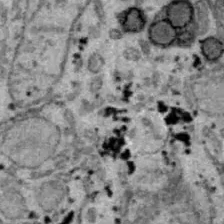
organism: Mouse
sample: Liver from an obese (ob/ob) mouse